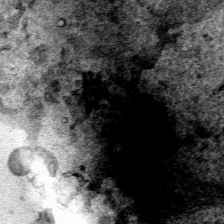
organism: Human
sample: Mitochondria in HCT116 cells